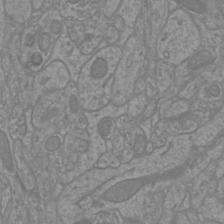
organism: Mouse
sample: Cortical neurons